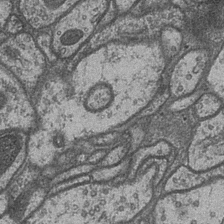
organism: Drosophila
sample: Optic medulla